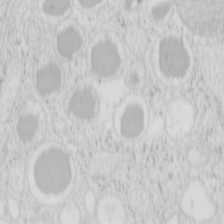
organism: Mouse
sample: Pancreas